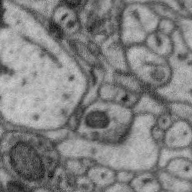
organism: Zebra finch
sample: Brain